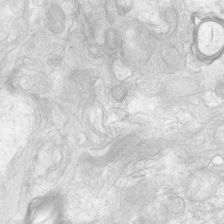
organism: Human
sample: Neocortex